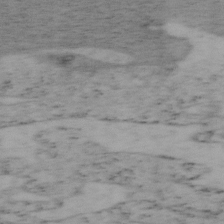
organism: Mouse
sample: OT-I killer T cells with ID8 ovarian cancer cells